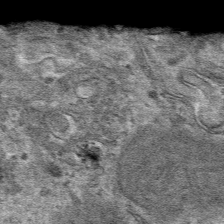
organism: Mouse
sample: Mouse hepatocytes